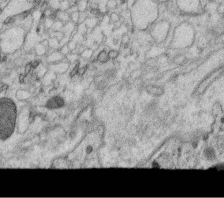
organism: C. elegans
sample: C. elegans oocyte; sperm cells